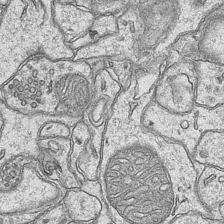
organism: Mouse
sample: CA1 Hippocampus